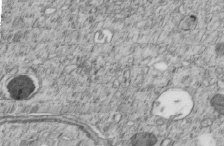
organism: C. elegans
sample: C. elegans embryo early stage